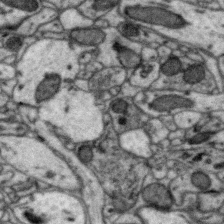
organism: Zebra finch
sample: Brain